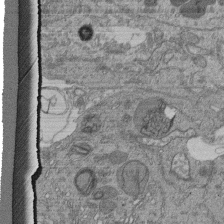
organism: Human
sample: Retinal organoid Rod and Cone cells